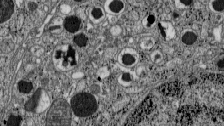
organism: C57BL Mouse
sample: Pancreatic islet